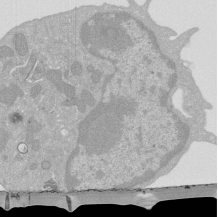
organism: Mouse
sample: Activated Pmel transgenic CD8+ T Cells